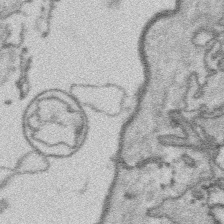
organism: Platynereis dumerilii